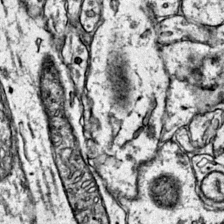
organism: Mouse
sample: Primary visual cortex